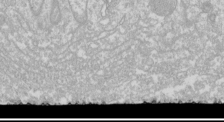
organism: Drosophila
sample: Cell division; meiosis; drosophila spermatocytes